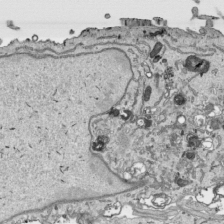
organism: Human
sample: Mitochondria in HCT116 cells